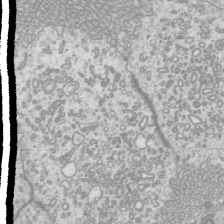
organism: Mouse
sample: Cilia; mouse epididymis